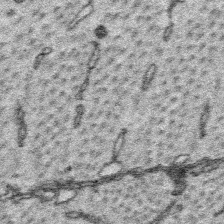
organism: Platynereis dumerilii